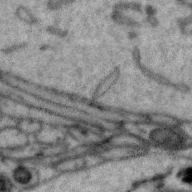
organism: Zebra finch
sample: Brain